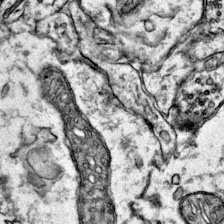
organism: Mouse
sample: Primary visual cortex